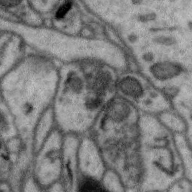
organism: Zebra finch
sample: Brain